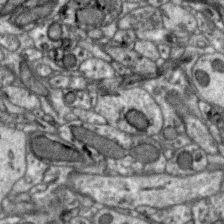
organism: Zebra finch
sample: Brain